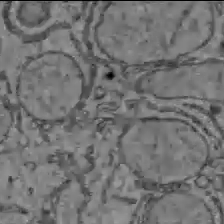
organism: C57BL Mouse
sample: Liver